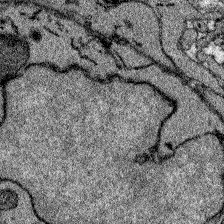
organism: Zebrafish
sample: Larval olfactory bulb